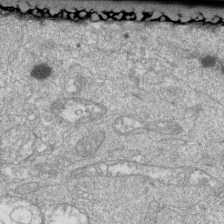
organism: Human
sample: HeLa cell HIV synapse